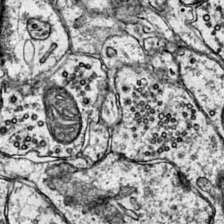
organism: Mouse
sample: Primary visual cortex